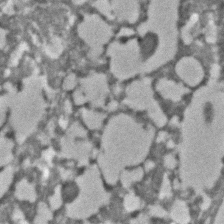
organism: C. elegans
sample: C. elegans embryo